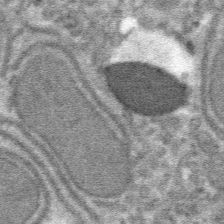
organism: Mouse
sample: Mouse hepatocytes